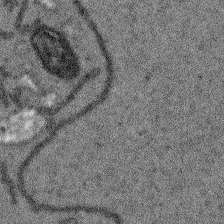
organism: Arabidopsis thaliana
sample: Root tip